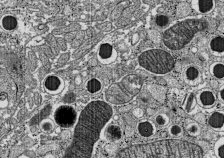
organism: C57BL Mouse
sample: Pancreatic islet